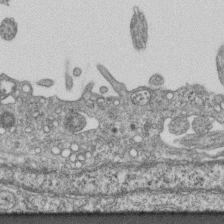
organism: Mouse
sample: Centriole in ependymal cells